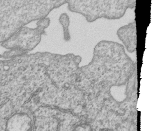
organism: Human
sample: MDA-MB-231 cells